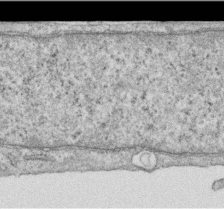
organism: Human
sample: Centriole in RPE cells